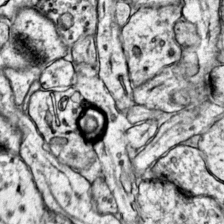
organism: Mouse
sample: Primary visual cortex